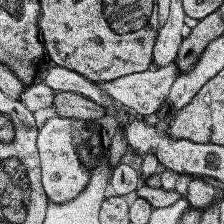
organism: Human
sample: Temporal Lobe